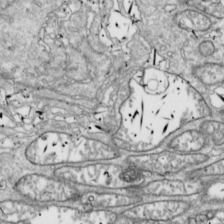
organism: Drosophila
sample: Cell division; meiosis; drosophila spermatocytes